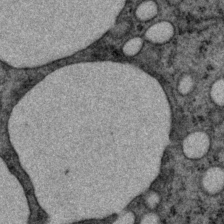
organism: P. pacificus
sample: Pharynx